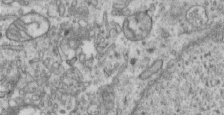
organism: Human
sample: Centriole in RPE cells